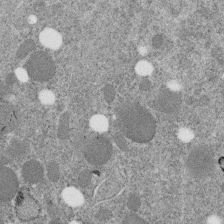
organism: C. elegans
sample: C. elegans embryo early stage